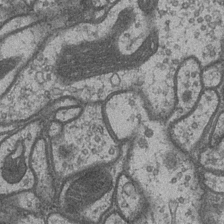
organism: Drosophila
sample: Optic medulla